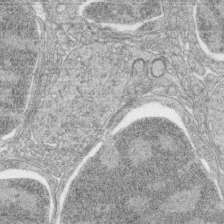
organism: Zebrafish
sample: synaptic ribbons in rod cells and cone cells